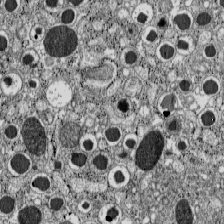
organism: C57BL Mouse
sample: Pancreatic islet